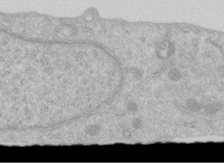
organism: Human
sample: Centriole in RPE cells